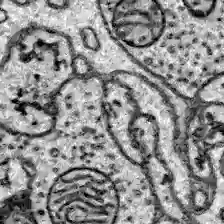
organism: Zebrafish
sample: Brain